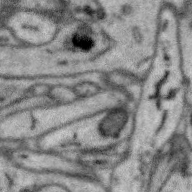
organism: Zebra finch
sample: Brain